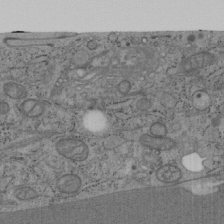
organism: Human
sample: HeLa cells